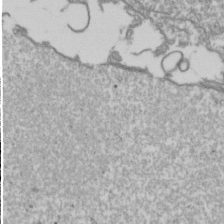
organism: Drosophila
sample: Cell division; meiosis; drosophila spermatocytes